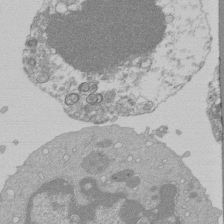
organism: Mouse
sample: Activated Pmel transgenic CD8+ T Cells